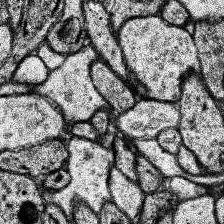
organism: Human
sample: Temporal Lobe